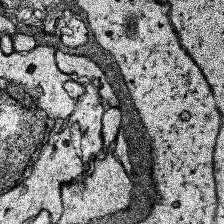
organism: Human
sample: Temporal Lobe